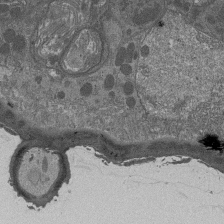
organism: Drosophila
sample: Antenna